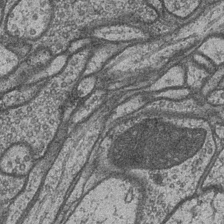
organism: Drosophila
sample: Optic medulla